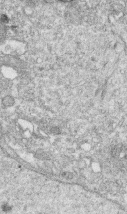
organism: Human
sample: HeLa cell HIV synapse